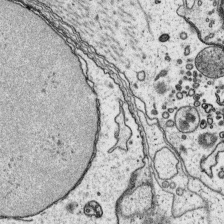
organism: Platynereis dumerilii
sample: Parapodia